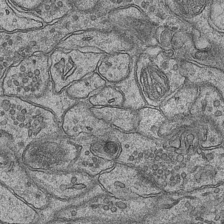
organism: Mouse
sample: CA1 Hippocampus